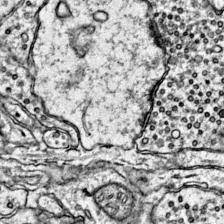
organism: Mouse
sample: Primary visual cortex